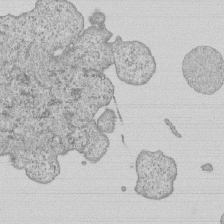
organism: Human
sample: MDA-MB-231 cells